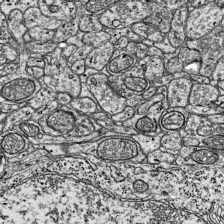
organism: Mouse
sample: Visual Cortex